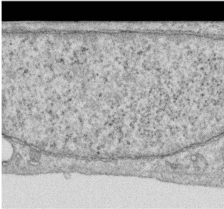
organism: Human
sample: Centriole in RPE cells